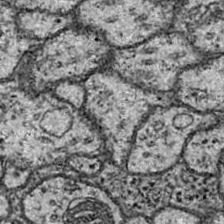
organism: Drosophila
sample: Ventral Nerve Cord